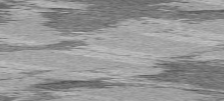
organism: C57BL Mouse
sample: Heart